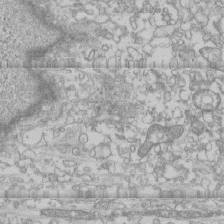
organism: Human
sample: CRL-1474